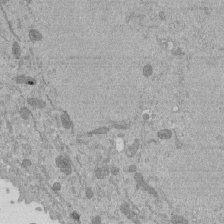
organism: Mouse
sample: ED-1 cell nuclei; centrioles